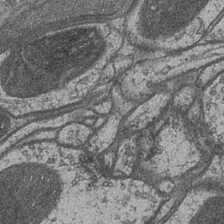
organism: Drosophila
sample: Optic medulla